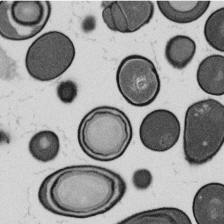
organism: B. subtilis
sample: Bacterial spore